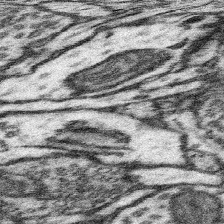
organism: Mouse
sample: Somatosensory cortex neuropil